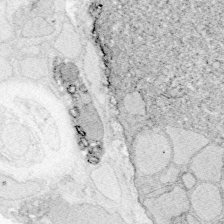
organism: Zebrafish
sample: Whole-Brain